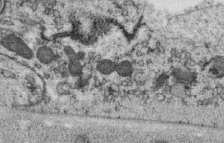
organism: C. elegans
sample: C. elegans oocyte; sperm cells